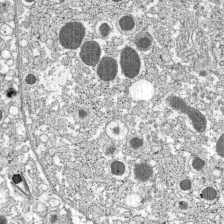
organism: C57BL Mouse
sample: Pancreatic islet